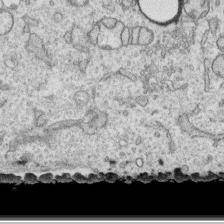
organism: Human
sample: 1205lu cells